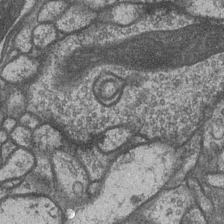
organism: Drosophila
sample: Optic medulla